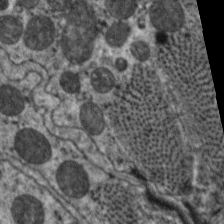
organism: C. elegans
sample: Pharynx